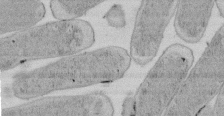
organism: E. coli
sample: Bacterial nucleoid